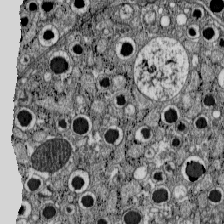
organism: C57BL Mouse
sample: Pancreatic islet